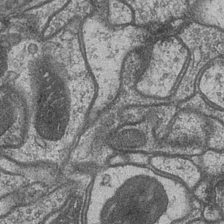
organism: Drosophila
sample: Optic medulla